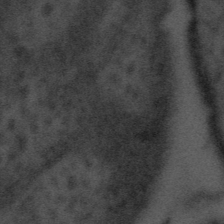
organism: Tuwongella immobilis